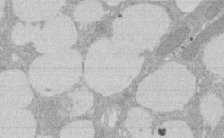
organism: Rat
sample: Salivary granule